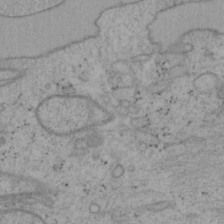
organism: Human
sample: HeLa cells